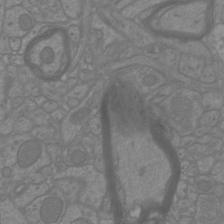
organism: Mouse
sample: Cortical neurons